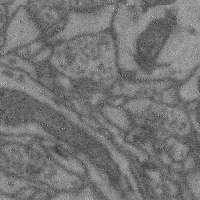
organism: Mouse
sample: Cerebral cortex